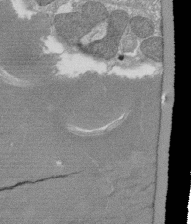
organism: Tetrahymena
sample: Cilia in tetrahymena